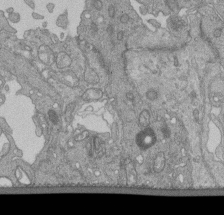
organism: Human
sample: Retinal organoid Rod and Cone cells